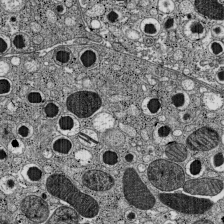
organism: C57BL Mouse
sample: Pancreatic islet